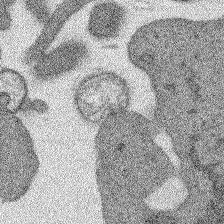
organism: Human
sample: HeLa cells